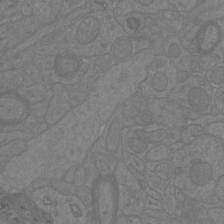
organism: Mouse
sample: Cortical neurons